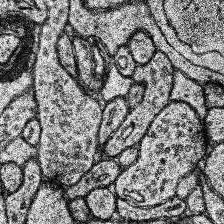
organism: Human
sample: Temporal Lobe